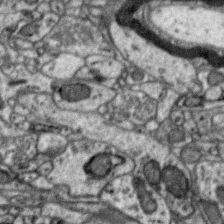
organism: Zebra finch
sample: Brain